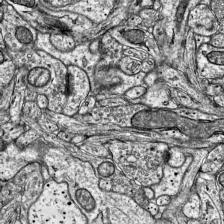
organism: Mouse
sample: Visual Cortex